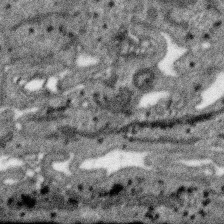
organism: Human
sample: Lung epithelial cells infected with SARS-CoV-2